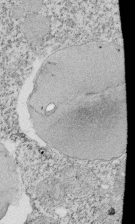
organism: Tetrahymena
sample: Cilia in tetrahymena